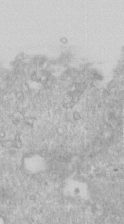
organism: Human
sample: Centriole in RPE cells